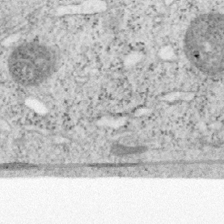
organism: Mouse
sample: OT-I killer T cells with ID8 ovarian cancer cells